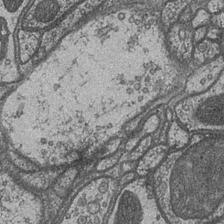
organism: Drosophila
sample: Optic medulla